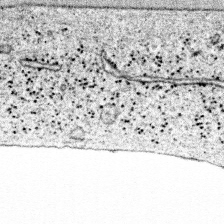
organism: Human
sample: HeLa cells